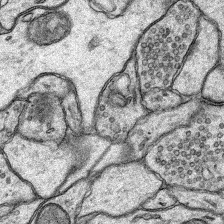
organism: Rat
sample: Hippocampus